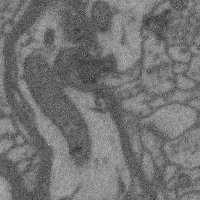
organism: Mouse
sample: Cerebral cortex